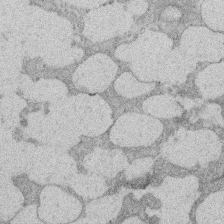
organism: Rat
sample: Salivary granule